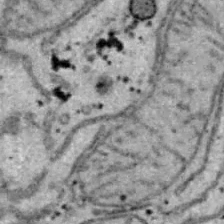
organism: Mouse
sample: Liver from an obese (ob/ob) mouse